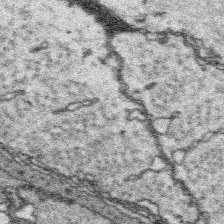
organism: Platynereis dumerilii